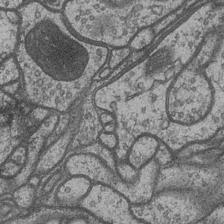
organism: Drosophila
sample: Optic medulla